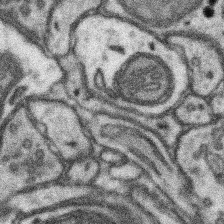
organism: Mouse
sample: Somatosensory cortex neuropil